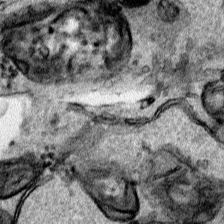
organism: Human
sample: Mitochondria in HCT116 cells